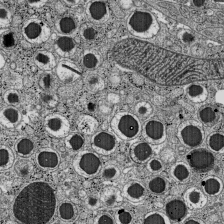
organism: C57BL Mouse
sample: Pancreatic islet